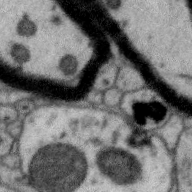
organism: Zebra finch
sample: Brain